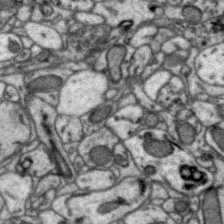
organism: Zebra finch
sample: Brain